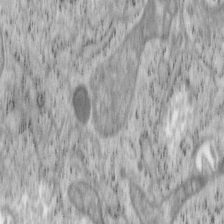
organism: Human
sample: HeLa cells